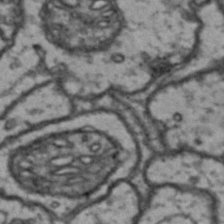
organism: Drosophila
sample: Brain